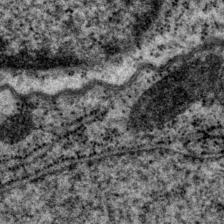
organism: P. pacificus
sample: Pharynx